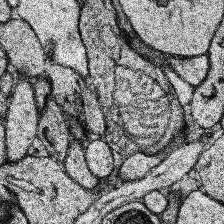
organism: Human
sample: Temporal Lobe